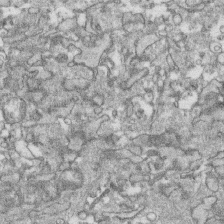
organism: Human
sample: CRL-1474